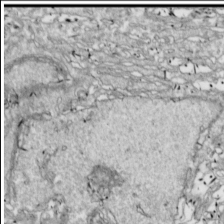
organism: Drosophila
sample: Cell division; meiosis; drosophila spermatocytes